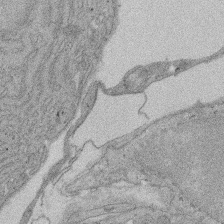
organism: Rat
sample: Salivary granule